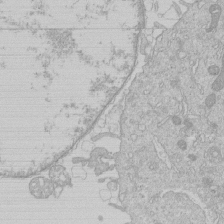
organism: Human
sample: Macrophage cells